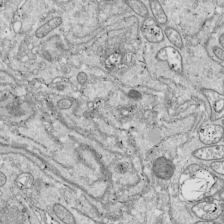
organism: Drosophila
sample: Cell division; meiosis; drosophila spermatocytes